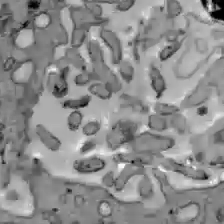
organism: C57BL Mouse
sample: Liver